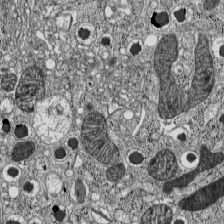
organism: C57BL Mouse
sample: Pancreatic islet